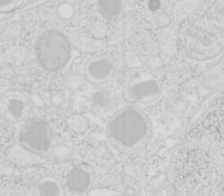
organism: Mouse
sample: Pancreas